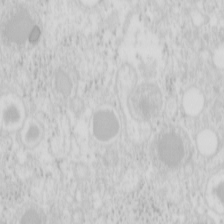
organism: Mouse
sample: Pancreas